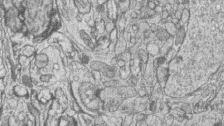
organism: Zebrafish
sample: synaptic ribbons in rod cells and cone cells